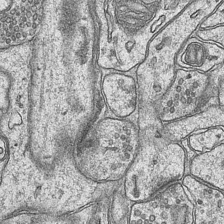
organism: Mouse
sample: CA1 Hippocampus